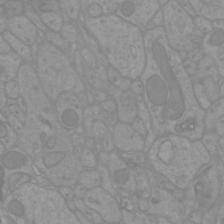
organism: Mouse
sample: Cortical neurons